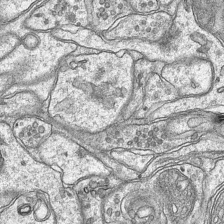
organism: Mouse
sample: CA1 Hippocampus